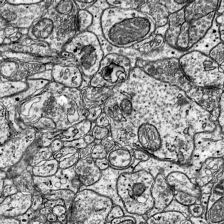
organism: Mouse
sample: Visual Cortex